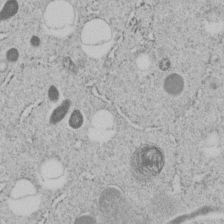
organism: C. elegans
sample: C. elegans embryo early stage